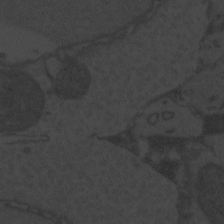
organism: Zebrafish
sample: Macrophage infected with Toxoplasma gondii